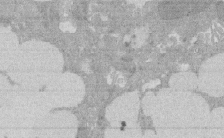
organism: Rat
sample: Salivary granule